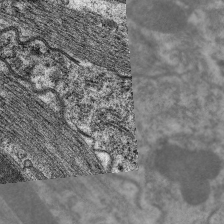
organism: C. elegans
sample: Pharynx